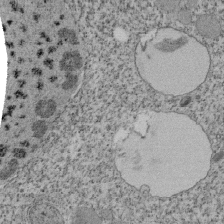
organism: Tetrahymena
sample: Cilia in tetrahymena